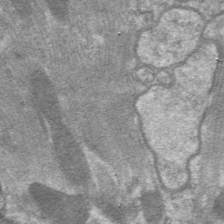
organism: C. elegans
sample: Pharynx